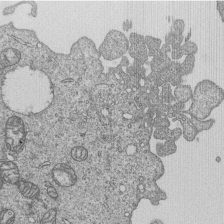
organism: Human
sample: MDA-MB-231 cells